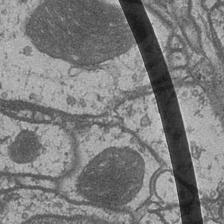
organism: Drosophila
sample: Optic medulla